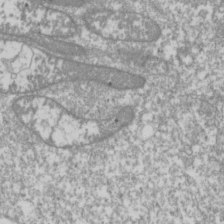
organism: Drosophila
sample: Cell division; meiosis; drosophila spermatocytes